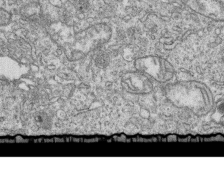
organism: Human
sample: HeLa cell HIV synapse